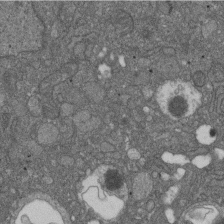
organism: Drosophila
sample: Nephrocyte